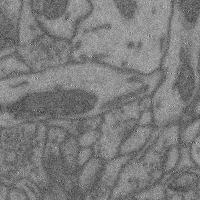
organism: Mouse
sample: Cerebral cortex